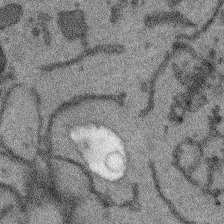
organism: Arabidopsis thaliana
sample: Root tip